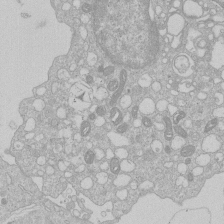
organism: Human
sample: Macrophage cells